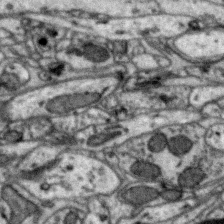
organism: Zebra finch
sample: Brain